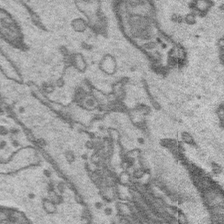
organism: Platynereis dumerilii